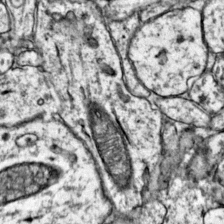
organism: Mouse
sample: Primary visual cortex